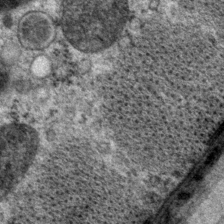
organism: P. pacificus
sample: Pharynx